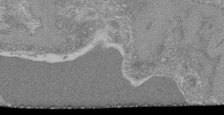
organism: Mouse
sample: Glomerulus